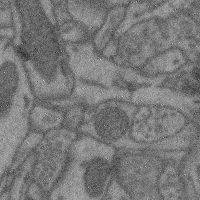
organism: Mouse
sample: Cerebral cortex